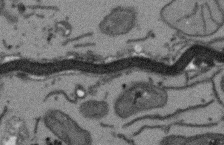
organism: Arabidopsis thaliana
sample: Root tip